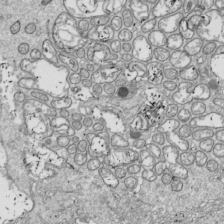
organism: Drosophila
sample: Cell division; meiosis; drosophila spermatocytes